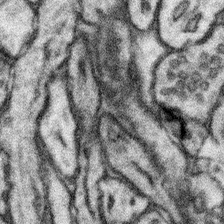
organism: Mouse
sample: Somatosensory cortex neuropil